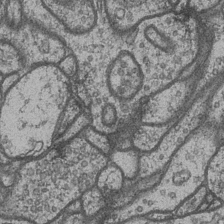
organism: Drosophila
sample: Optic medulla